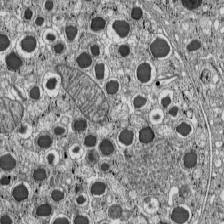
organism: C57BL Mouse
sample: Pancreatic islet